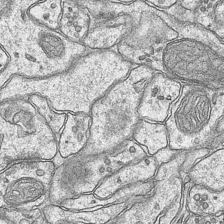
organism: Mouse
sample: CA1 Hippocampus